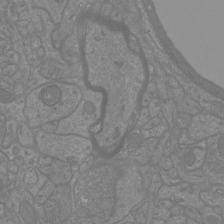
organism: Mouse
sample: Cortical neurons